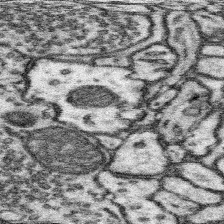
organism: Mouse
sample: Somatosensory cortex neuropil